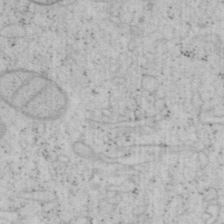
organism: Human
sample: HeLa cells